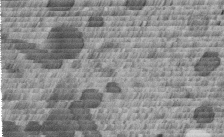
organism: C. elegans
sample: C. elegans embryo early stage